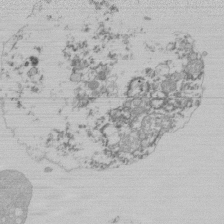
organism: Mouse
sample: Activated Pmel transgenic CD8+ T Cells